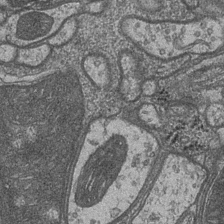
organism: Drosophila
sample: Optic medulla